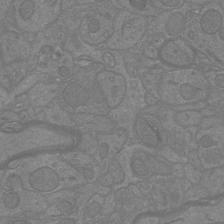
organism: Mouse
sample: Cortical neurons